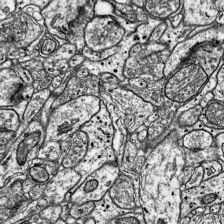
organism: Mouse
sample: Visual Cortex